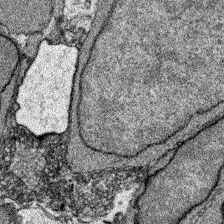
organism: Zebrafish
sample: Larval olfactory bulb